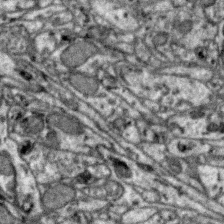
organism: Zebra finch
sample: Brain